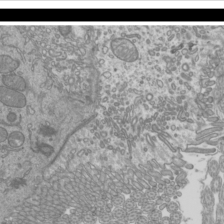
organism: Mouse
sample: Cilia; mouse epididymis